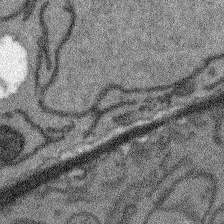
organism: Arabidopsis thaliana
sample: Root tip